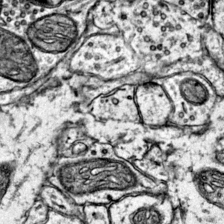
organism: Mouse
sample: Primary visual cortex